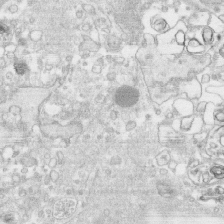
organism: Human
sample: CRL-1474